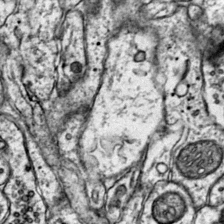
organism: Mouse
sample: Primary visual cortex